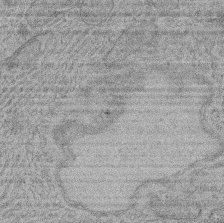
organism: Rat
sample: Salivary granule